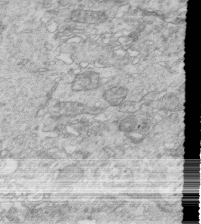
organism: Mouse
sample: Multiciliated cells